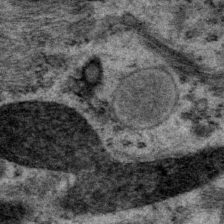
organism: P. pacificus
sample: Pharynx